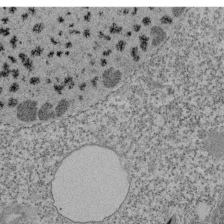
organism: Tetrahymena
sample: Cilia in tetrahymena